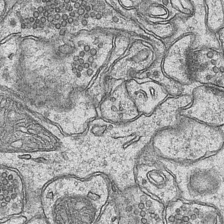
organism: Mouse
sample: CA1 Hippocampus